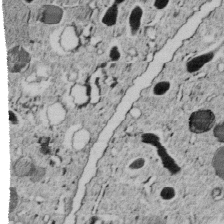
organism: C. elegans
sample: C. elegans embryo early stage